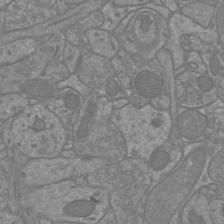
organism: Mouse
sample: Cortical neurons